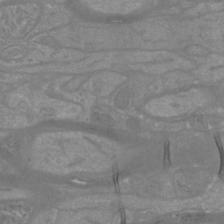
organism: Mouse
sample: Cortical neurons